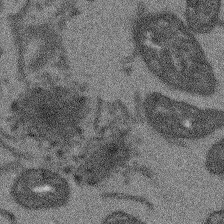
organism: Arabidopsis thaliana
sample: Root tip